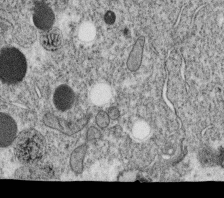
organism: C. elegans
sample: C. elegans oocyte; sperm cells